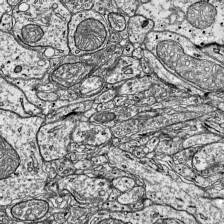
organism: Mouse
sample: Visual Cortex